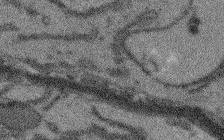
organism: Arabidopsis thaliana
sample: Root tip